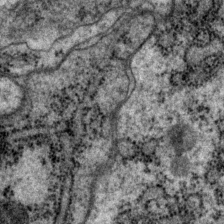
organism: P. pacificus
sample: Pharynx